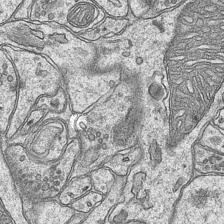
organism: Mouse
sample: CA1 Hippocampus